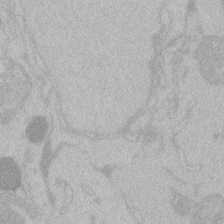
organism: Zebrafish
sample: Macrophage infected with Toxoplasma gondii